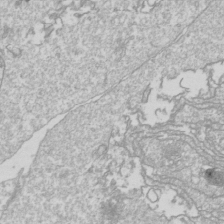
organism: Drosophila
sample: Cell division; meiosis; drosophila spermatocytes